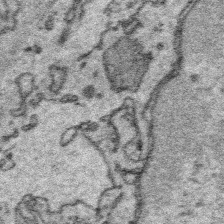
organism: Platynereis dumerilii